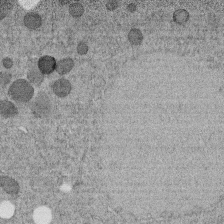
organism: C. elegans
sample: C. elegans embryo early stage